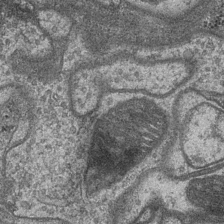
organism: Drosophila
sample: Optic medulla